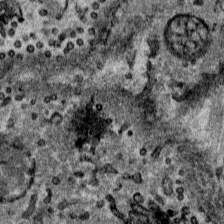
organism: Mouse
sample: Mouse Salivary gland